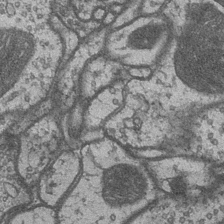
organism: Drosophila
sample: Optic medulla